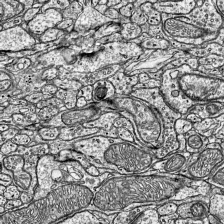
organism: Mouse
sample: Visual Cortex